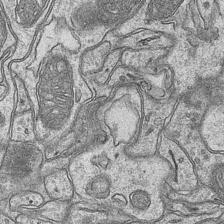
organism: Mouse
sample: CA1 Hippocampus